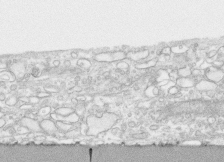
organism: Human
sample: CRL-1474